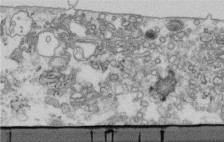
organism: Human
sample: Centriole in fibroblast cells